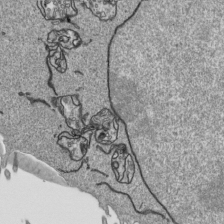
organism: Human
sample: Mitochondria in HCT116 cells